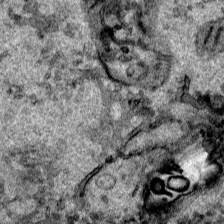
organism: Human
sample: Mitochondria in HCT116 cells